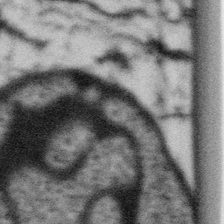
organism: Gemmata obscuriglobus